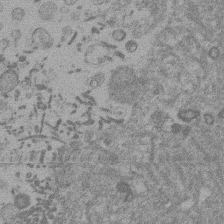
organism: Mouse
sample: Dividing mouse embryo 1 cell stage